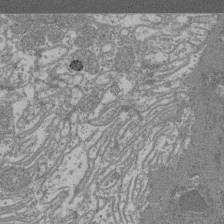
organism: Mouse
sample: Glomerulus